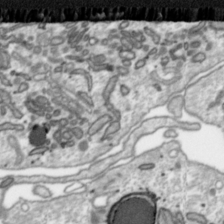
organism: Toxoplasma gondii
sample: Parasites in a vacuole inside a host cell